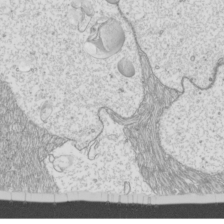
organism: Mouse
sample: Cilia; mouse epididymis